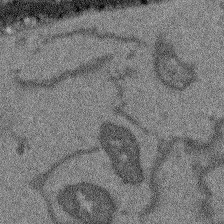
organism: Arabidopsis thaliana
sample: Root tip